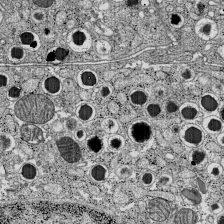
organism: C57BL Mouse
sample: Pancreatic islet